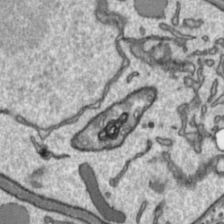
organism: Toxoplasma gondii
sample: Parasites in a vacuole inside a host cell